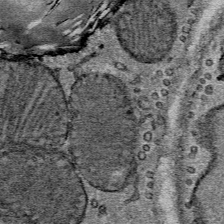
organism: Mouse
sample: Mouse Salivary gland